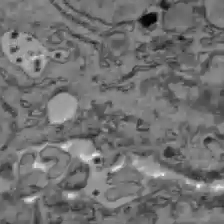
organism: C57BL Mouse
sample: Liver